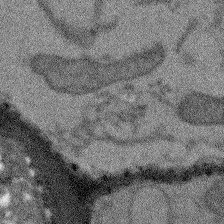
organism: Arabidopsis thaliana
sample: Root tip